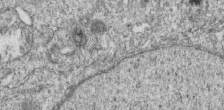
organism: Human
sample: HeLa cell HIV synapse